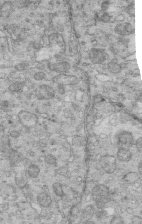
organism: Mouse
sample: Multiciliated cells